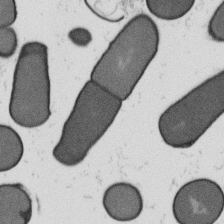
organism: B. subtilis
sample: Bacterial spore